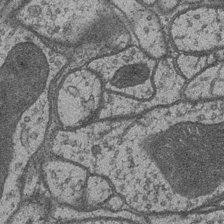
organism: Drosophila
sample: Optic medulla